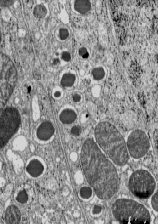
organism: C57BL Mouse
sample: Pancreatic islet